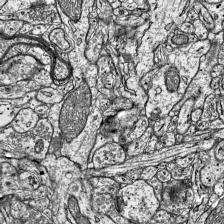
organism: Mouse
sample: Visual Cortex